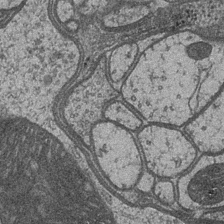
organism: Drosophila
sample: Optic medulla